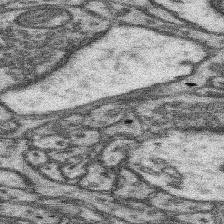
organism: Mouse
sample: Somatosensory cortex neuropil